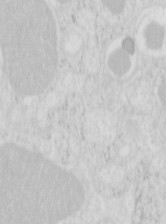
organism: Mouse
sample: Pancreas